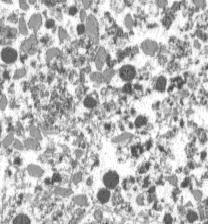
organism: C57BL Mouse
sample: Pancreatic islet